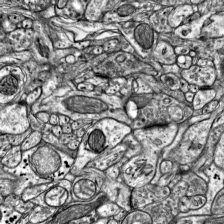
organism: Mouse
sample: Visual Cortex